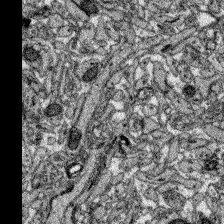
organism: Zebrafish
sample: Larval olfactory bulb